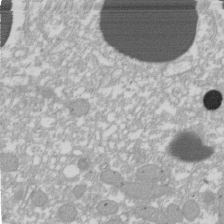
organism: Xenopus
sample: Cilia; centrioles in frog embryo cells